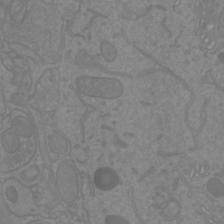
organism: Mouse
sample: Cortical neurons